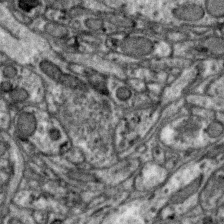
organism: Zebra finch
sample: Brain